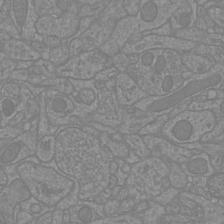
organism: Mouse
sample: Cortical neurons